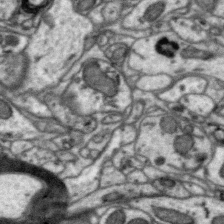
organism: Zebra finch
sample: Brain